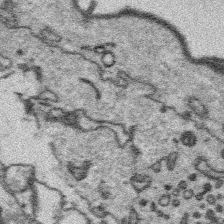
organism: Platynereis dumerilii